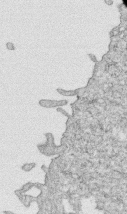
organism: Human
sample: HeLa cell HIV synapse